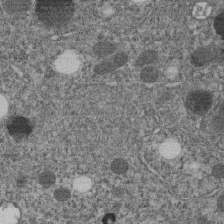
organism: C. elegans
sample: C. elegans embryo early stage